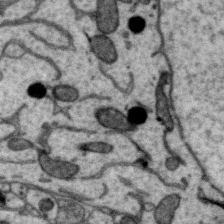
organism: Zebra finch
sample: Brain